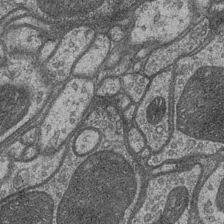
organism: Drosophila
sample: Optic medulla